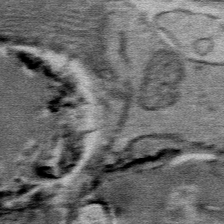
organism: Mouse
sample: Mouse Salivary gland